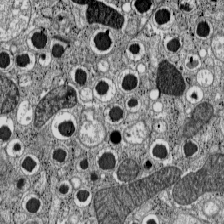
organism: C57BL Mouse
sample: Pancreatic islet